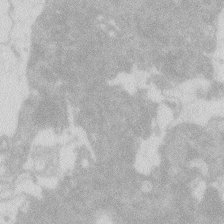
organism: Zebrafish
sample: Macrophage